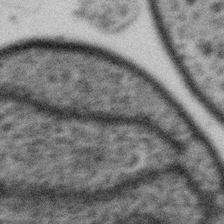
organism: Gemmata obscuriglobus